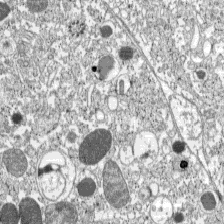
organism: C57BL Mouse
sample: Pancreatic islet